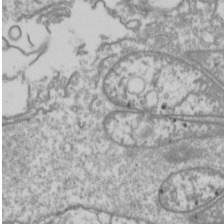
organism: Drosophila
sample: Cell division; meiosis; drosophila spermatocytes